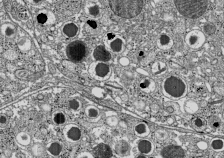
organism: C57BL Mouse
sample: Pancreatic islet